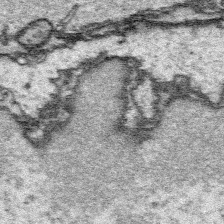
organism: Platynereis dumerilii